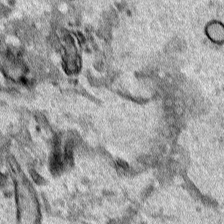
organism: Human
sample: Mitochondria in HCT116 cells